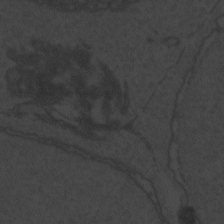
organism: Zebrafish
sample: Macrophage infected with Toxoplasma gondii